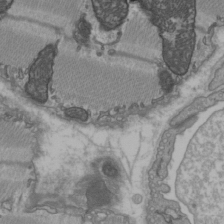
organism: C57BL Mouse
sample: Heart